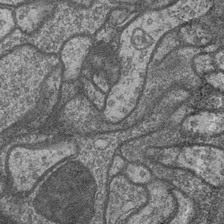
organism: Drosophila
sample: Optic medulla